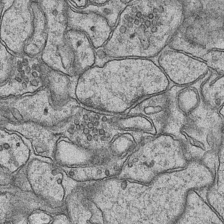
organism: Mouse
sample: CA1 Hippocampus